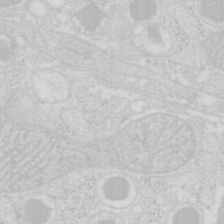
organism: Mouse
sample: Pancreas